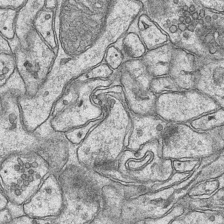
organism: Mouse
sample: CA1 Hippocampus